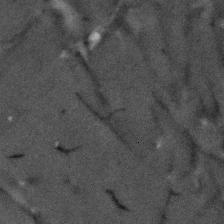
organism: Human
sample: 1205lu cells